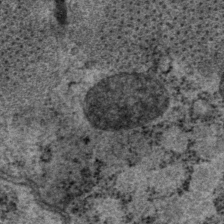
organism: P. pacificus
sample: Pharynx